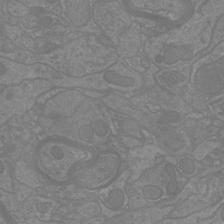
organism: Mouse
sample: Cortical neurons